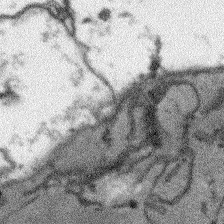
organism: Arabidopsis thaliana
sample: Root tip